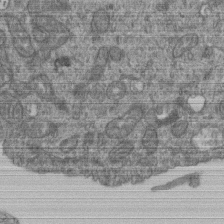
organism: Human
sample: Retinal organoid Rod and Cone cells